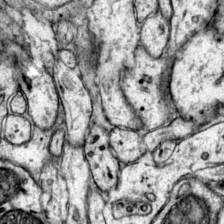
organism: Mouse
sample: Primary visual cortex